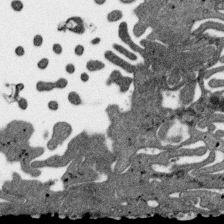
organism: Human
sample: Lung epithelial cells, uninfected (mock) control